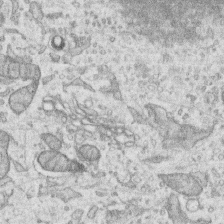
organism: Human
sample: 1205lu cells